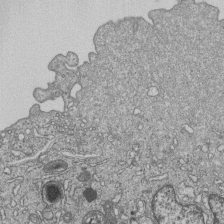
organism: Human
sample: MDA-MB-231 cells